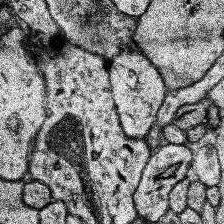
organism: Human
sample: Temporal Lobe